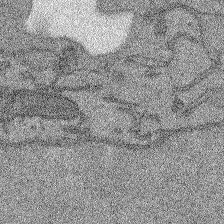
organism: Human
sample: HeLa cells